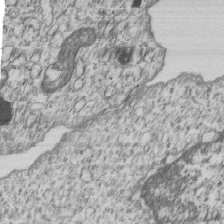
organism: Human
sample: MDA-MB-231 cells